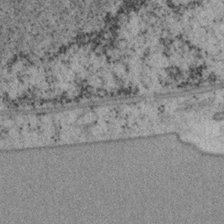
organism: Human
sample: HeLa cells